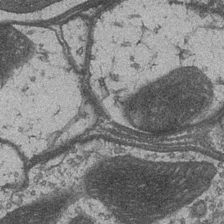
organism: Drosophila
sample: Optic medulla